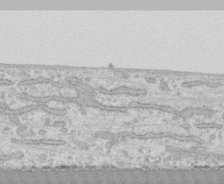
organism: Human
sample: CRL-1474